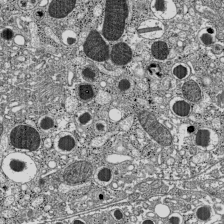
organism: C57BL Mouse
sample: Pancreatic islet